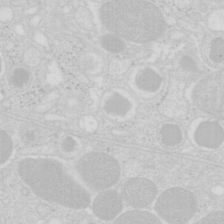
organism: Mouse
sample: Pancreas